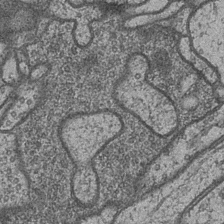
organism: Drosophila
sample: Optic medulla